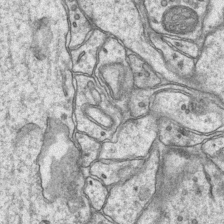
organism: Mouse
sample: CA1 Hippocampus